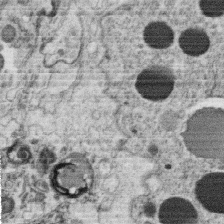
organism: C. elegans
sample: C. elegans oocyte; sperm cells